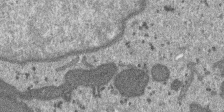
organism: Human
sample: Lung epithelial cells infected with SARS-CoV-2